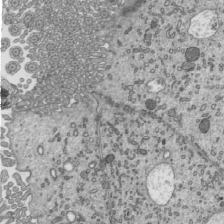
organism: Mouse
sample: Mouse epididymis efferent ductule cilia